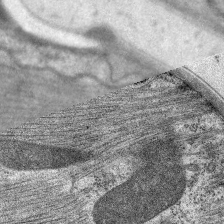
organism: C. elegans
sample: Pharynx